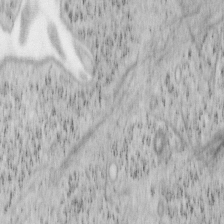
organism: Human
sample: HeLa cells